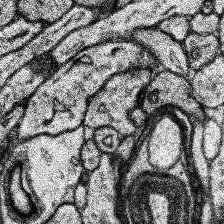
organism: Human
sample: Temporal Lobe